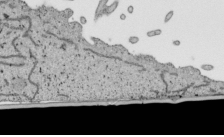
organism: Human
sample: Mitochondria in HCT116 cells